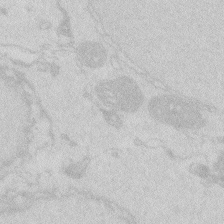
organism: Zebrafish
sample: Macrophage